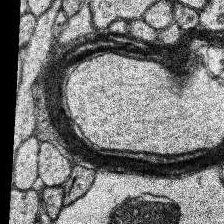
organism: Human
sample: Temporal Lobe